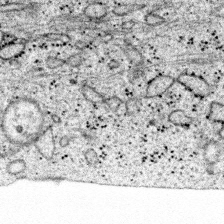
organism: Human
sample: HeLa cells